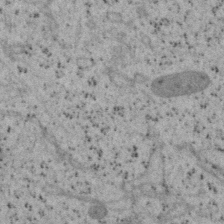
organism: Human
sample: HeLa cells